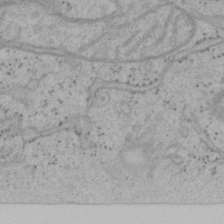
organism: Human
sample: HeLa cells